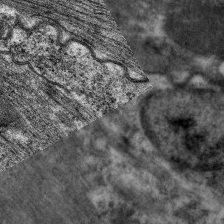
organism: C. elegans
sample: Pharynx